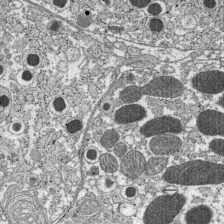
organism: C57BL Mouse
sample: Pancreatic islet